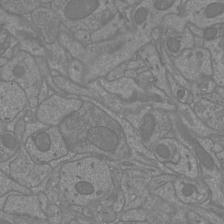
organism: Mouse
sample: Cortical neurons